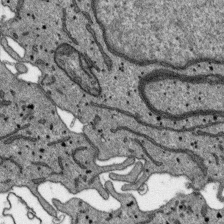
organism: Human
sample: Lung epithelial cells, uninfected (mock) control